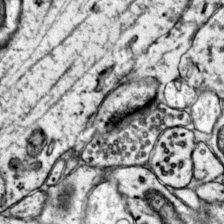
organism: Mouse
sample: Primary visual cortex